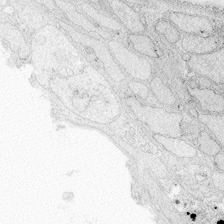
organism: Zebrafish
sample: Whole-Brain